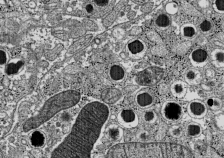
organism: C57BL Mouse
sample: Pancreatic islet